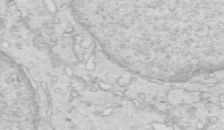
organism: Mouse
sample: Multiciliated cells